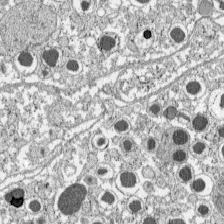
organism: C57BL Mouse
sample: Pancreatic islet